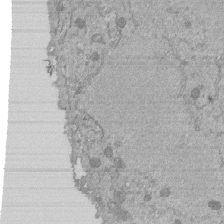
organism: Mouse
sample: ED-1 cell nuclei; centrioles